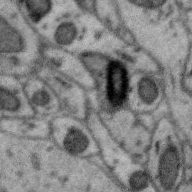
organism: Zebra finch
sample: Brain